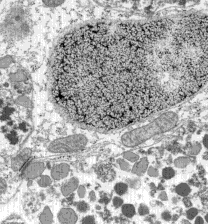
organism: C57BL Mouse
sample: Pancreatic islet